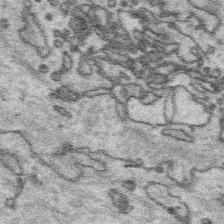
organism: Platynereis dumerilii